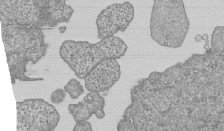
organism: Human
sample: MDA-MB-231 cells